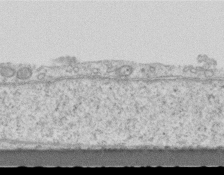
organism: Mouse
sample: Centriole in ependymal cells